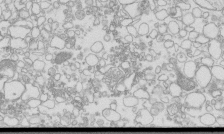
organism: Mouse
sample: Macrophages